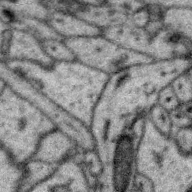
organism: Zebra finch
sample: Brain